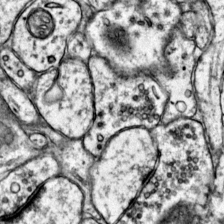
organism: Mouse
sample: Primary visual cortex